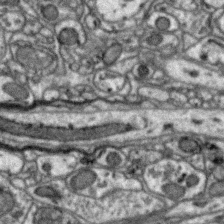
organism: Zebra finch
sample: Brain